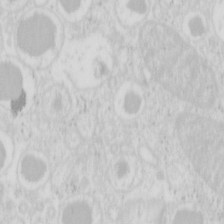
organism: Mouse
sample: Pancreas